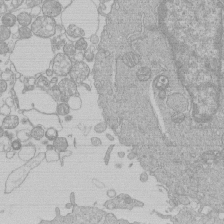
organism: Human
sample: Macrophage cells